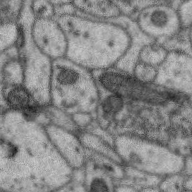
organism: Zebra finch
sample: Brain